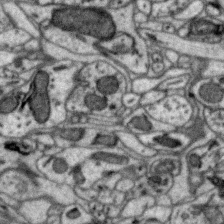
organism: Zebra finch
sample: Brain